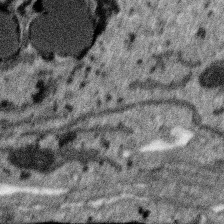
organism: Human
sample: Lung epithelial cells infected with SARS-CoV-2